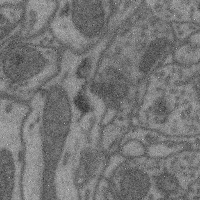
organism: Mouse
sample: Cerebral cortex